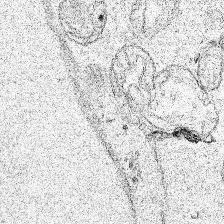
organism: Human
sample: Mitochondria in HCT116 cells